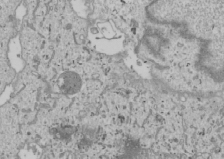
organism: Human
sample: Mitochondria in U2OS cells